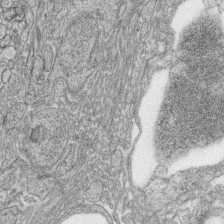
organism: Zebrafish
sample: synaptic ribbons in rod cells and cone cells